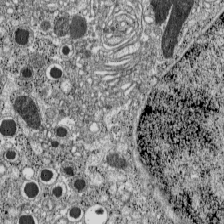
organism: C57BL Mouse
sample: Pancreatic islet